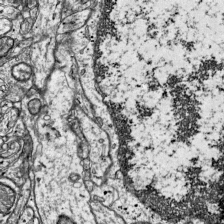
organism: Mouse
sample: Visual Cortex